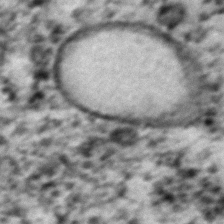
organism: C. elegans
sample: C. elegans embryo